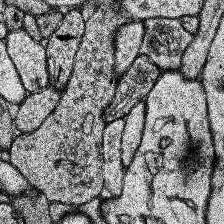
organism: Human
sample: Temporal Lobe